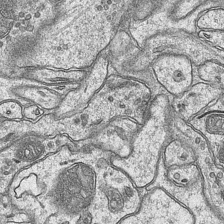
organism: Mouse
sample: CA1 Hippocampus